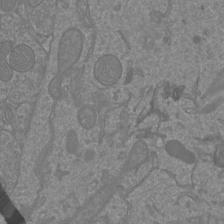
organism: Mouse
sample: Cortical neurons